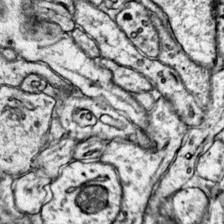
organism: Mouse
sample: Primary visual cortex